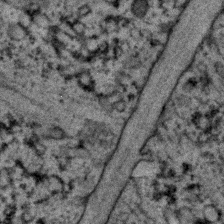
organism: C. elegans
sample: C. elegans embryo